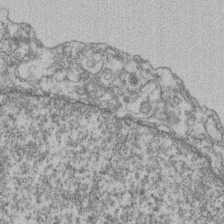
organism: Mouse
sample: T cell stromal cell synapse